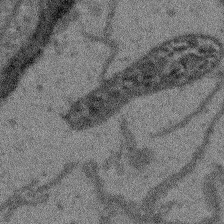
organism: Arabidopsis thaliana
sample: Root tip